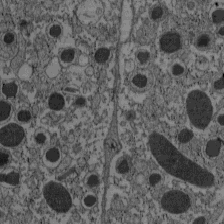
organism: C57BL Mouse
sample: Pancreatic islet